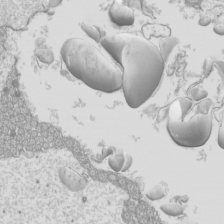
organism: Mouse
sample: Cilia; mouse epididymis